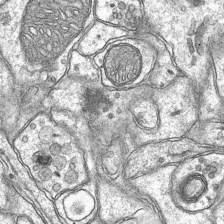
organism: Mouse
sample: CA1 Hippocampus